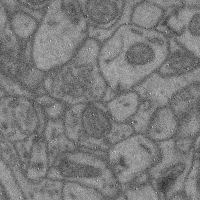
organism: Mouse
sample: Cerebral cortex